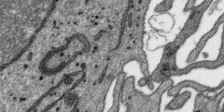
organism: Human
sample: Lung epithelial cells, uninfected (mock) control